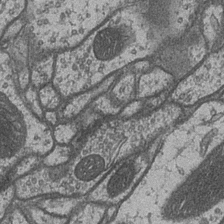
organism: Drosophila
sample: Optic medulla